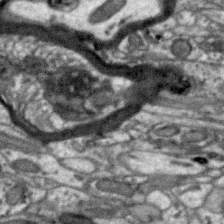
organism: Zebra finch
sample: Brain